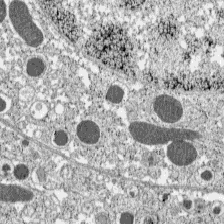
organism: C57BL Mouse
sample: Pancreatic islet